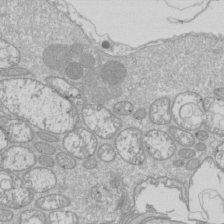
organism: Drosophila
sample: Cell division; meiosis; drosophila spermatocytes